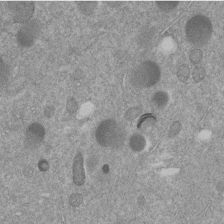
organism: C. elegans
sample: C. elegans embryo early stage